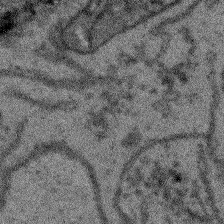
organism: Arabidopsis thaliana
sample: Root tip